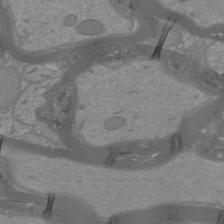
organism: Mouse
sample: Cortical neurons